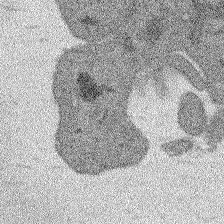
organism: Human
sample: HeLa cells